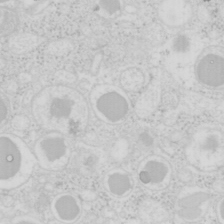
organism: Mouse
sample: Pancreas